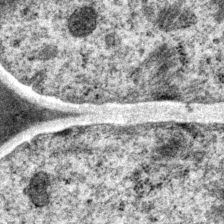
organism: P. pacificus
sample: Pharynx